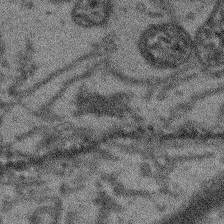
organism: Arabidopsis thaliana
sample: Root tip